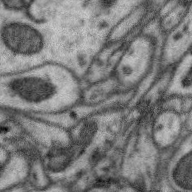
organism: Zebra finch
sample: Brain